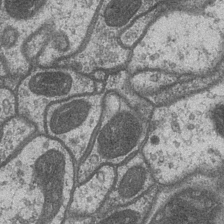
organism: Drosophila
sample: Optic medulla